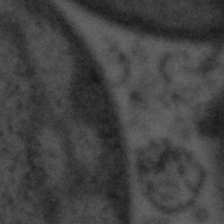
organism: Tuwongella immobilis